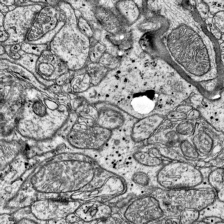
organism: Mouse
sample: Visual Cortex